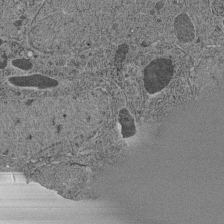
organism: C. elegans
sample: C. elegans pharynx